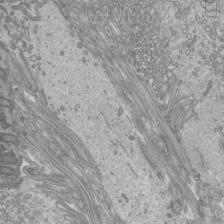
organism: Mouse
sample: Cilia; mouse epididymis